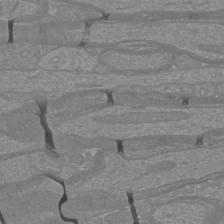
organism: Mouse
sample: Cortical neurons